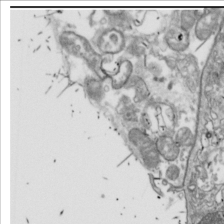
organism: Drosophila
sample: Cell division; meiosis; drosophila spermatocytes